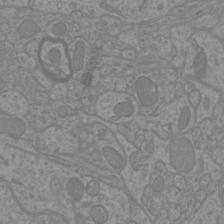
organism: Mouse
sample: Cortical neurons